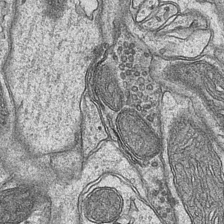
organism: Mouse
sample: CA1 Hippocampus